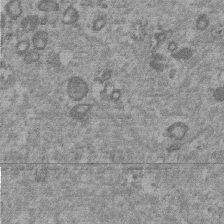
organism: Mouse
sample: Dividing mouse embryo 1 cell stage